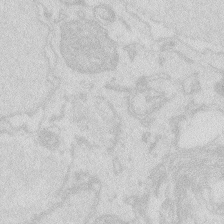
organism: Zebrafish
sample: Macrophage